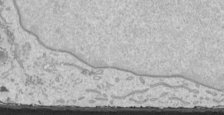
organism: Human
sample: Mitochondria in HCT116 cells